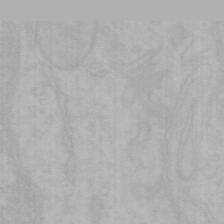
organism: Mouse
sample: Choroid plexus